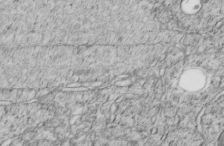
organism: C. elegans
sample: C. elegans embryo early stage